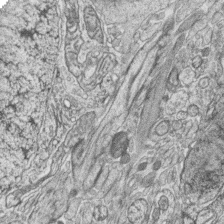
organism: Zebrafish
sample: synaptic ribbons in rod cells and cone cells